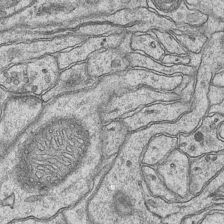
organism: Mouse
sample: CA1 Hippocampus